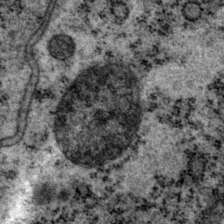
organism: P. pacificus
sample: Pharynx